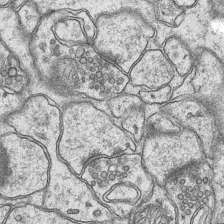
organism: Mouse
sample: CA1 Hippocampus